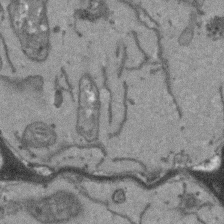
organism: Arabidopsis thaliana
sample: Root tip